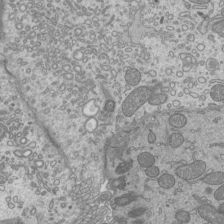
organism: Mouse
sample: Cilia; mouse epididymis